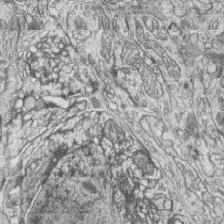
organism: Zebrafish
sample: synaptic ribbons in rod cells and cone cells